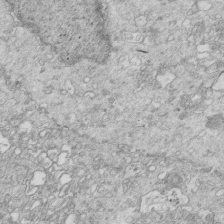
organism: Mouse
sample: Multiciliated cells